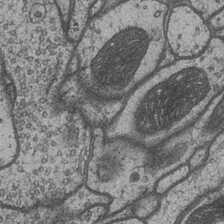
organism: Drosophila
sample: Optic medulla